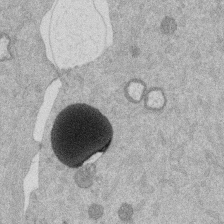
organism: Mouse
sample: Dividing mouse embryo 1 cell stage